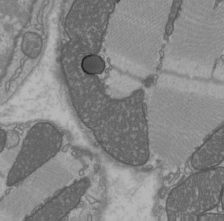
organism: C57BL Mouse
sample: Heart